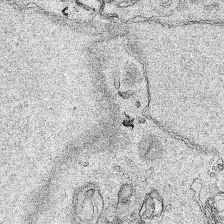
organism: Human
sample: Mitochondria in HCT116 cells